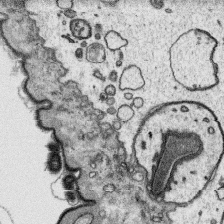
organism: Platynereis dumerilii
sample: Parapodia